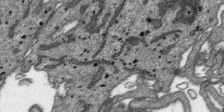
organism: Human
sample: Lung epithelial cells, uninfected (mock) control